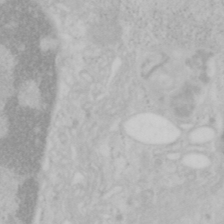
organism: Mouse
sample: OT-I killer T cells with ID8 ovarian cancer cells